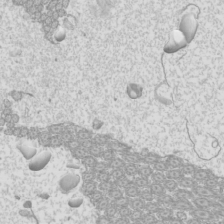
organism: Mouse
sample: Cilia; mouse epididymis